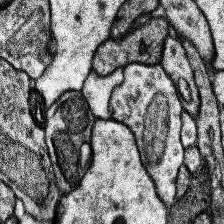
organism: Human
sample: Temporal Lobe